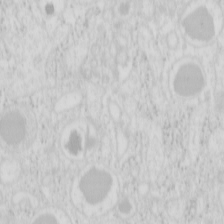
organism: Mouse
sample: Pancreas